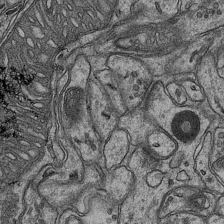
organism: Mouse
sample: CA1 Hippocampus